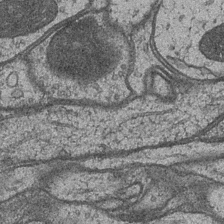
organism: Drosophila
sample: Optic medulla